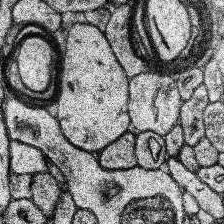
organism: Human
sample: Temporal Lobe